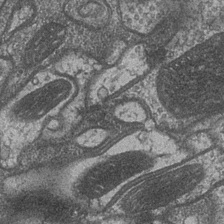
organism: Drosophila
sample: Optic medulla